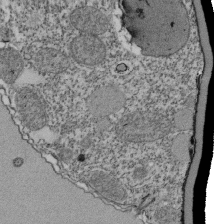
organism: Tetrahymena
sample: Cilia in tetrahymena